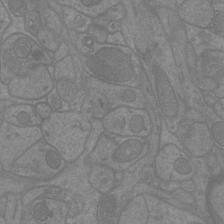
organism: Mouse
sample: Cortical neurons